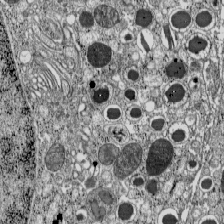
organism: C57BL Mouse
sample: Pancreatic islet